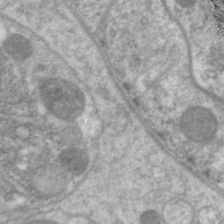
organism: C. elegans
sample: Pharynx